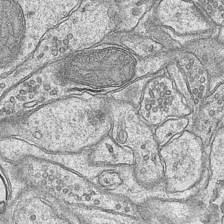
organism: Mouse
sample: CA1 Hippocampus